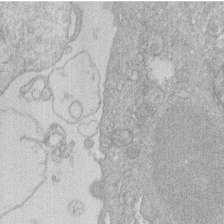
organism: Human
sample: Macrophage cells